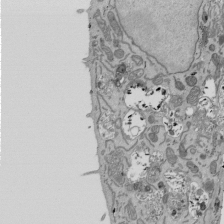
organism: Mouse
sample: ED-1 cell nuclei; centrioles